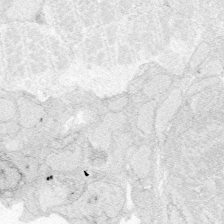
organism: Zebrafish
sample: Whole-Brain